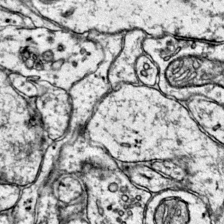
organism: Mouse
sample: Primary visual cortex